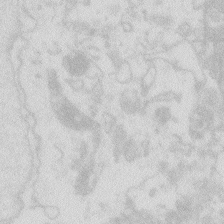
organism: Zebrafish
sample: Macrophage